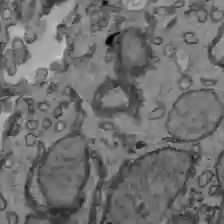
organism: C57BL Mouse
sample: Liver